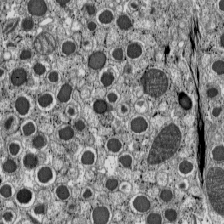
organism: C57BL Mouse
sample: Pancreatic islet